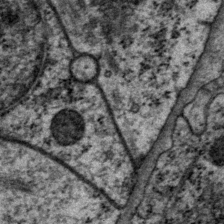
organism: P. pacificus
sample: Pharynx